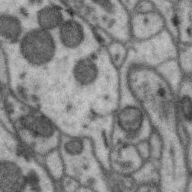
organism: Zebra finch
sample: Brain